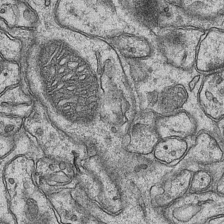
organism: Mouse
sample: CA1 Hippocampus